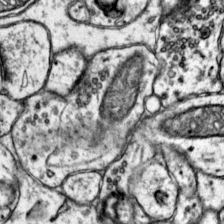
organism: Mouse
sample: Primary visual cortex